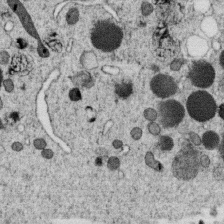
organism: C. elegans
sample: C. elegans oocyte; sperm cells